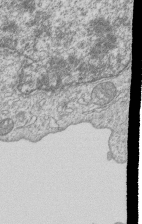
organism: Human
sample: MDA-MB-231 cells